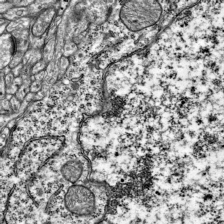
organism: Mouse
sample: Visual Cortex